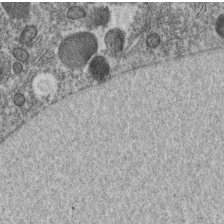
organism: C. elegans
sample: C. elegans oocyte; sperm cells